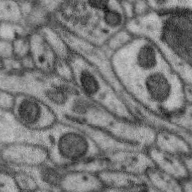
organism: Zebra finch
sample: Brain